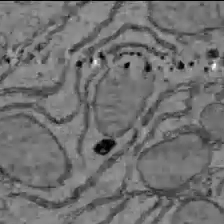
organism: C57BL Mouse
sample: Liver